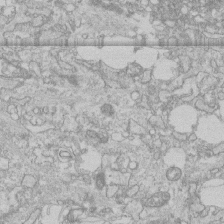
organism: Human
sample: CRL-1474